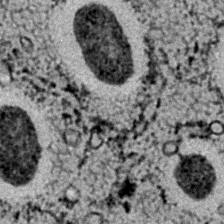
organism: C. elegans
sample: C. elegans embryo